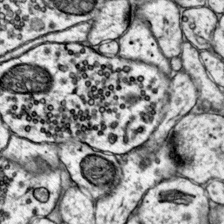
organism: Mouse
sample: Primary visual cortex